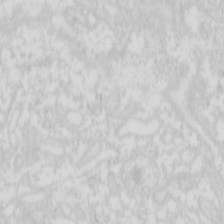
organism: Mouse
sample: Pancreas